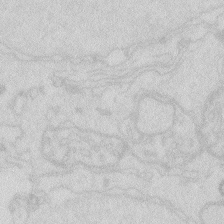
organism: Zebrafish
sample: Macrophage